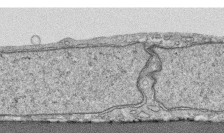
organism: Human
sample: CRL-1474